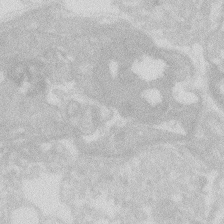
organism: Zebrafish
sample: Macrophage